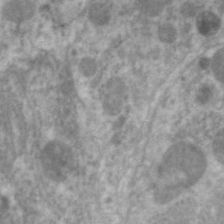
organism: C. elegans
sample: Pharynx